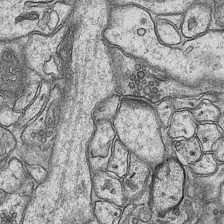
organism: Mouse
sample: CA1 Hippocampus